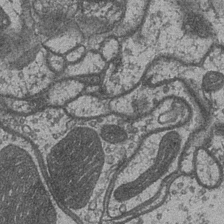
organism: Drosophila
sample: Optic medulla